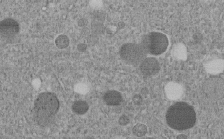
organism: C. elegans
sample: C. elegans embryo early stage